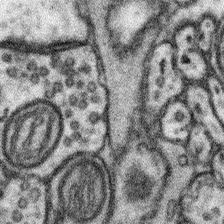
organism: Mouse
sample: Somatosensory cortex neuropil